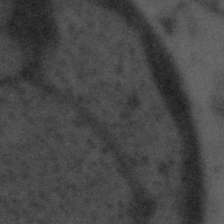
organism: Tuwongella immobilis